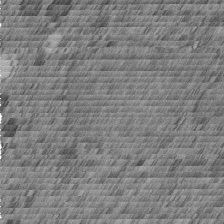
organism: C. elegans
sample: C. elegans embryo early stage